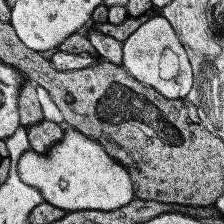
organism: Human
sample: Temporal Lobe